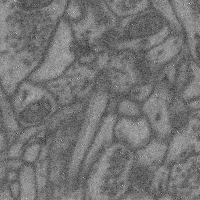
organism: Mouse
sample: Cerebral cortex